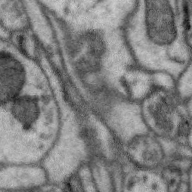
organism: Zebra finch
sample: Brain